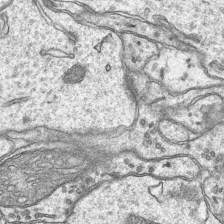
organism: Mouse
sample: CA1 Hippocampus